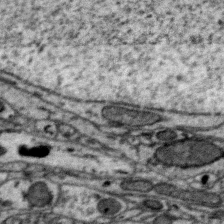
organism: Zebra finch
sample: Brain